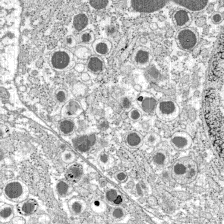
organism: C57BL Mouse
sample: Pancreatic islet